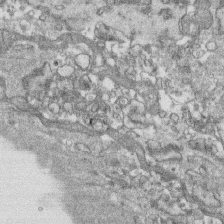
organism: Human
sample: CRL-1474